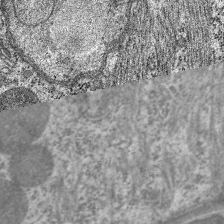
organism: C. elegans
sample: Pharynx